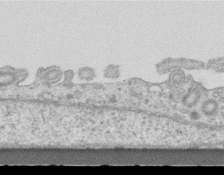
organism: Mouse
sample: Centriole in ependymal cells